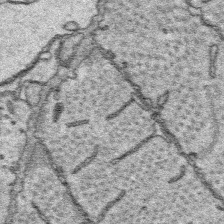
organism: Platynereis dumerilii